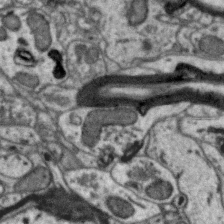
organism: Zebra finch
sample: Brain